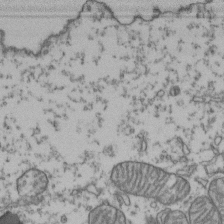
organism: Human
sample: Activated Jurkat CD4+ T cells